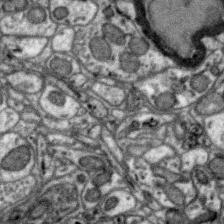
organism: Zebra finch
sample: Brain